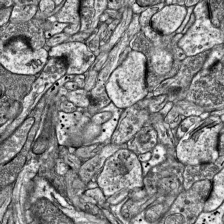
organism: Mouse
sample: Visual Cortex